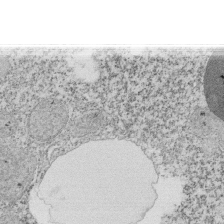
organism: Tetrahymena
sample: Cilia in tetrahymena